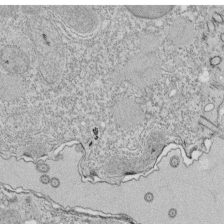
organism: Tetrahymena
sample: Cilia in tetrahymena